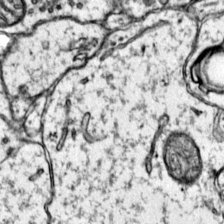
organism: Mouse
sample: Primary visual cortex